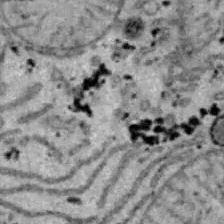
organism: Mouse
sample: Liver from an obese (ob/ob) mouse